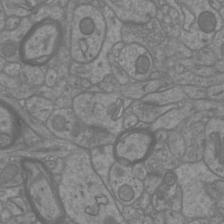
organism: Mouse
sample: Cortical neurons